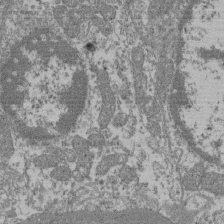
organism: Mouse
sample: Glomerulus